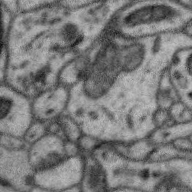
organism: Zebra finch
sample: Brain